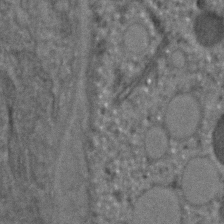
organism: C. elegans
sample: C. elegans embryo